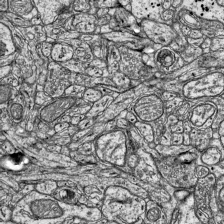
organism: Mouse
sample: Visual Cortex